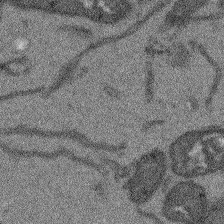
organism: Arabidopsis thaliana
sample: Root tip